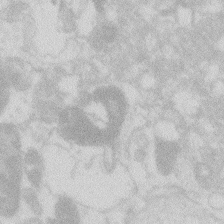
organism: Zebrafish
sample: Macrophage